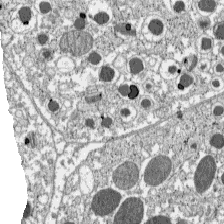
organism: C57BL Mouse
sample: Pancreatic islet